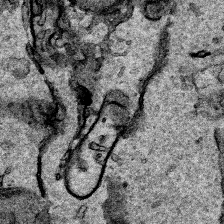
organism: Human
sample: Mitochondria in HCT116 cells